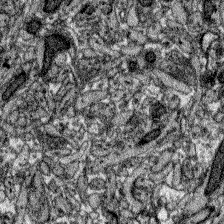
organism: Zebrafish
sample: Larval olfactory bulb